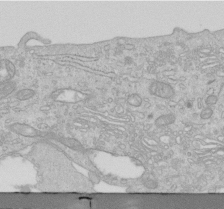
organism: Human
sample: Centriole in RPE cells